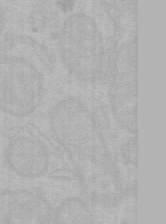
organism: Mouse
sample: Choroid plexus